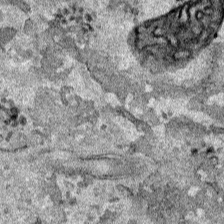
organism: Human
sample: Mitochondria in HCT116 cells